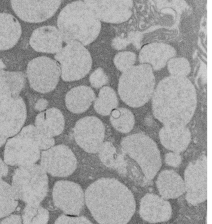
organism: Rat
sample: Salivary granule